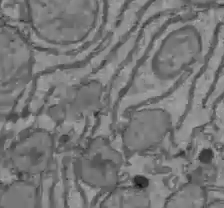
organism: C57BL Mouse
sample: Liver